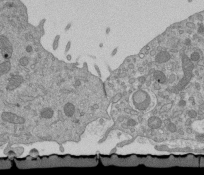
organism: Mouse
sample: ED-1 cell nuclei; centrioles